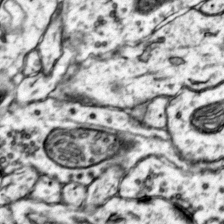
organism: Mouse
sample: Primary visual cortex